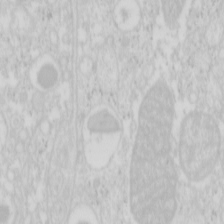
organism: Mouse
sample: Pancreas